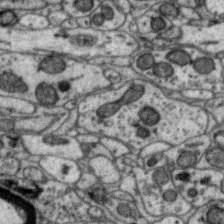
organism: Zebra finch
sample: Brain